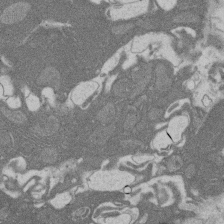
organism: Rat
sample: Salivary granule